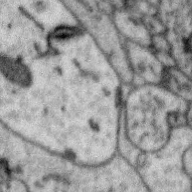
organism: Zebra finch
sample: Brain